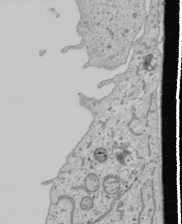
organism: Human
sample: Mitochondria in U2OS cells